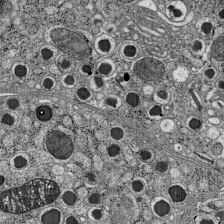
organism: C57BL Mouse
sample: Pancreatic islet